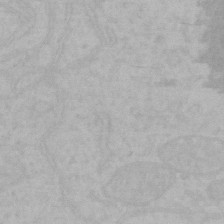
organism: Mouse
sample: Choroid plexus